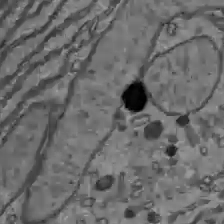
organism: C57BL Mouse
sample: Liver